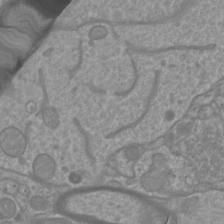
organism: Mouse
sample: Cortical neurons